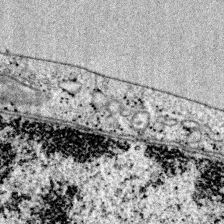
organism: Human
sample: HeLa cells